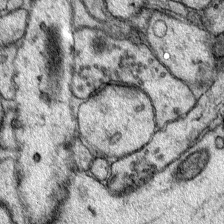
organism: Mouse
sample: Primary visual cortex